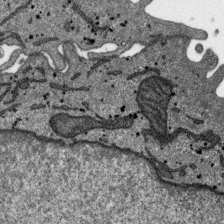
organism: Human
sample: Lung epithelial cells, uninfected (mock) control